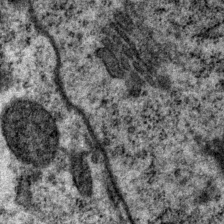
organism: P. pacificus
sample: Pharynx